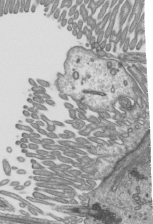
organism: Mouse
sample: Mouse epididymis efferent ductule cilia